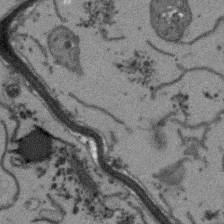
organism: Arabidopsis thaliana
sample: Root tip